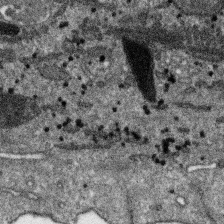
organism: Human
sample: Lung epithelial cells infected with SARS-CoV-2